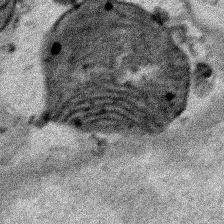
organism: Human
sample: Mitochondria in HCT116 cells